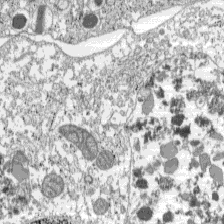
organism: C57BL Mouse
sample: Pancreatic islet